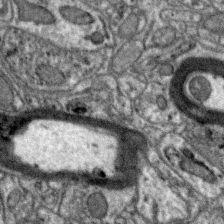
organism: Zebra finch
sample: Brain